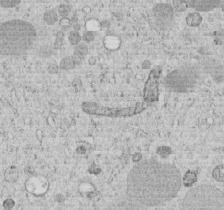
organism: C. elegans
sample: C. elegans embryo early stage